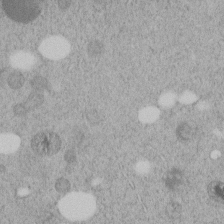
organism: C. elegans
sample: C. elegans embryo early stage